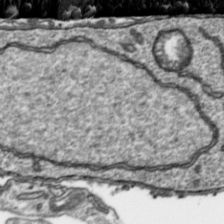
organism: Toxoplasma gondii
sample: Parasites in a vacuole inside a host cell